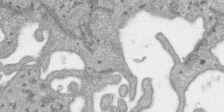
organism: Human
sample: Lung epithelial cells infected with SARS-CoV-2